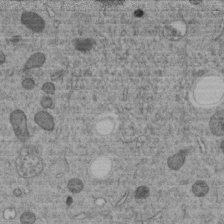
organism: C. elegans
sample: C. elegans embryo early stage